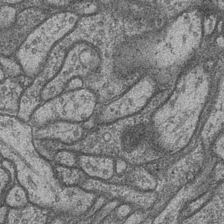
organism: Drosophila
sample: Optic medulla